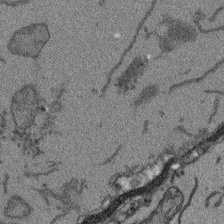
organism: Arabidopsis thaliana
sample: Root tip